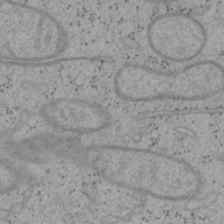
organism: Human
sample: HeLa cells